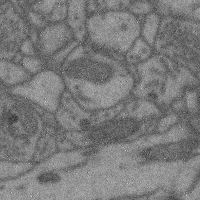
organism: Mouse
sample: Cerebral cortex